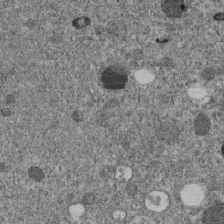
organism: C. elegans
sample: C. elegans embryo early stage